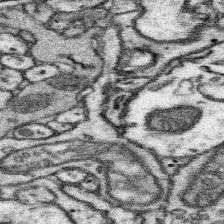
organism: Mouse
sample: Somatosensory cortex neuropil